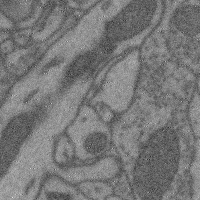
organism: Mouse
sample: Cerebral cortex